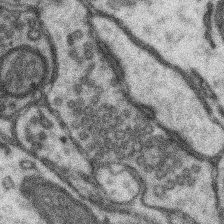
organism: Mouse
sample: Somatosensory cortex neuropil